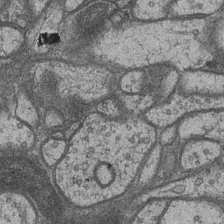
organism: Drosophila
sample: Optic medulla